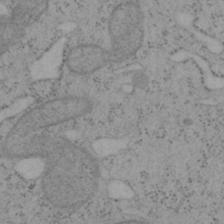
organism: Mouse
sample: OT-I killer T cells with ID8 ovarian cancer cells